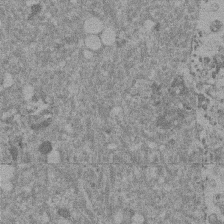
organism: Mouse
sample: Dividing mouse embryo 1 cell stage